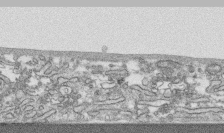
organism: Human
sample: CRL-1474